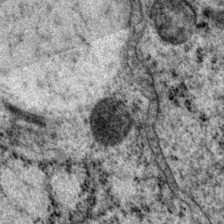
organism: P. pacificus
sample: Pharynx